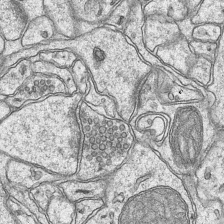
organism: Mouse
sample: CA1 Hippocampus